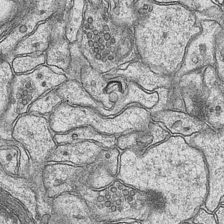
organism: Mouse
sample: CA1 Hippocampus